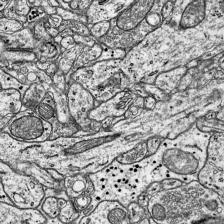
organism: Mouse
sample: Visual Cortex